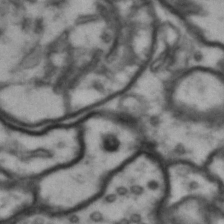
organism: Drosophila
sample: Brain